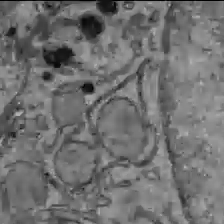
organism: C57BL Mouse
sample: Liver